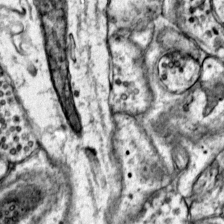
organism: Mouse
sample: Primary visual cortex